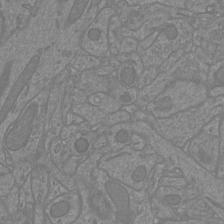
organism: Mouse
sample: Cortical neurons